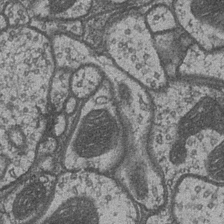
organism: Drosophila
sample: Optic medulla